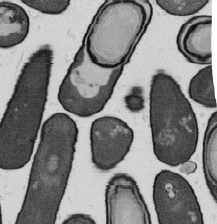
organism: B. subtilis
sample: Bacterial spore